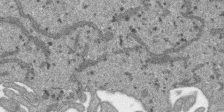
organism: Human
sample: Lung epithelial cells infected with SARS-CoV-2